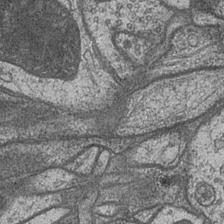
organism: Drosophila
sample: Optic medulla